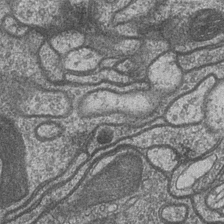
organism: Drosophila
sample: Optic medulla